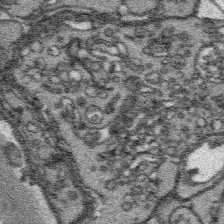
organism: Platynereis dumerilii